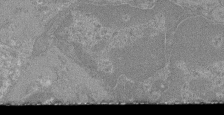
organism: Mouse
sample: Glomerulus